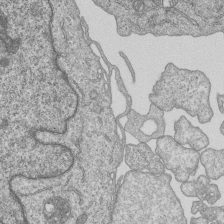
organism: Human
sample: MDA-MB-231 cells